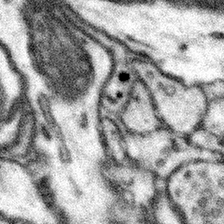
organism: Mouse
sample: Somatosensory cortex neuropil